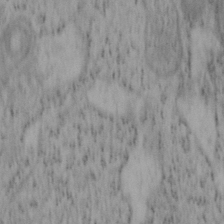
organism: Mouse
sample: OT-I killer T cells with ID8 ovarian cancer cells